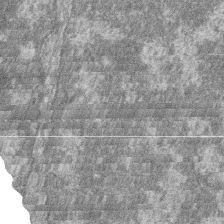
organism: Zebrafish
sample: Cilia; retinal pigment epithelium